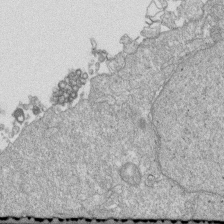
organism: Human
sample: HeLa cell HIV synapse